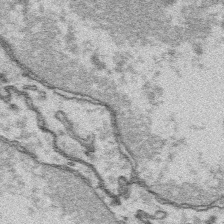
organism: Platynereis dumerilii